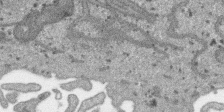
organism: Human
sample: Lung epithelial cells infected with SARS-CoV-2